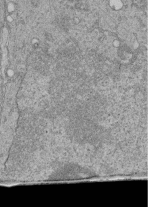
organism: Human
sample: Retinal organoid Rod and Cone cells